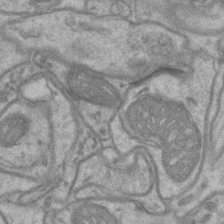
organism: Mouse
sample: CA1 Hippocampus